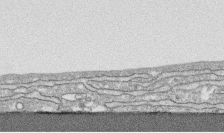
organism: Human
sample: CRL-1474